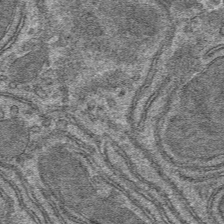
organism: Mouse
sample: Mouse hepatocytes